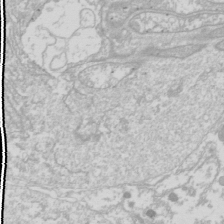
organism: Drosophila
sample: Cell division; meiosis; drosophila spermatocytes